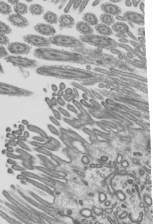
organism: Mouse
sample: Mouse epididymis efferent ductule cilia